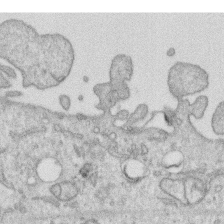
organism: Human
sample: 1205lu cells